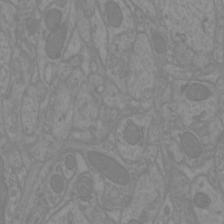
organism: Mouse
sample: Cortical neurons